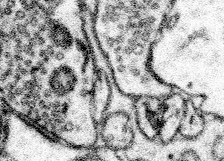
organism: Mouse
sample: Somatosensory cortex neuropil